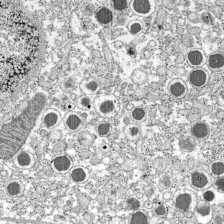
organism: C57BL Mouse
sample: Pancreatic islet